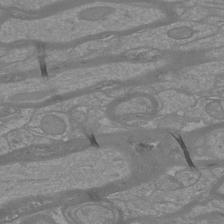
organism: Mouse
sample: Cortical neurons